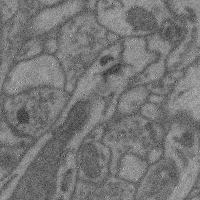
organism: Mouse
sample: Cerebral cortex